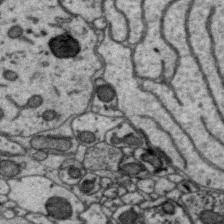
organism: Zebra finch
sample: Brain